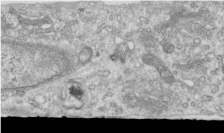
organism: Human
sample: Centriole in RPE cells